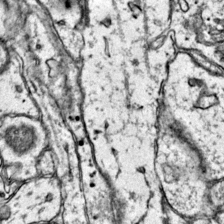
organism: Mouse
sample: Primary visual cortex